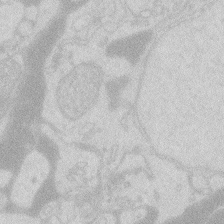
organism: Zebrafish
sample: Macrophage